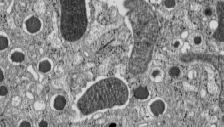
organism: C57BL Mouse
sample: Pancreatic islet